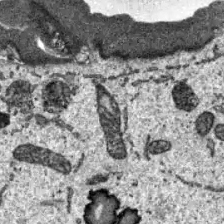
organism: Human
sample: HeLa cells